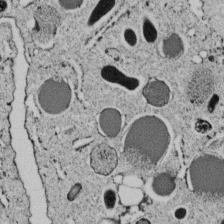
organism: C. elegans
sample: C. elegans embryo early stage